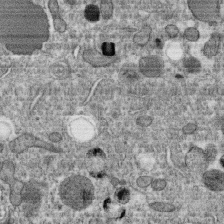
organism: C. elegans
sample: C. elegans oocyte; sperm cells